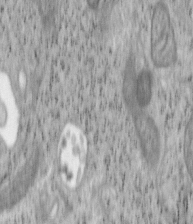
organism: Human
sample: HeLa cells